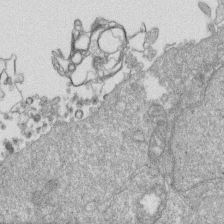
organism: Human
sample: HeLa cell HIV synapse